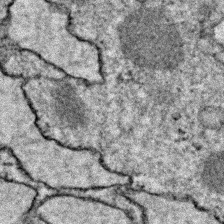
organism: Zebrafish